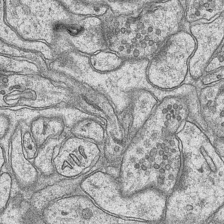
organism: Mouse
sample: CA1 Hippocampus